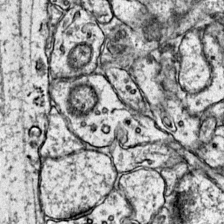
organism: Mouse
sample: Primary visual cortex